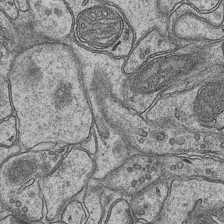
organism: Mouse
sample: CA1 Hippocampus